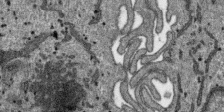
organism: Human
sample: Lung epithelial cells, uninfected (mock) control